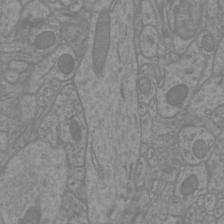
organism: Mouse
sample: Cortical neurons